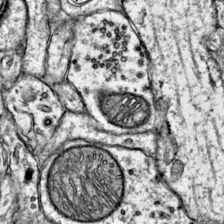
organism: Mouse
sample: Primary visual cortex